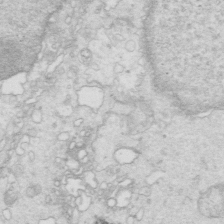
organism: Mouse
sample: Multiciliated cells